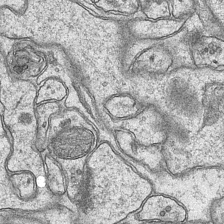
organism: Mouse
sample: CA1 Hippocampus